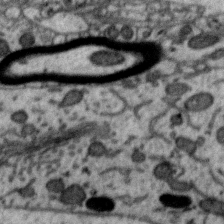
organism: Zebra finch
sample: Brain